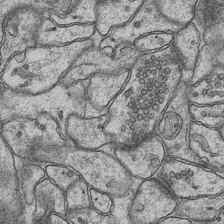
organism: Mouse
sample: CA1 Hippocampus